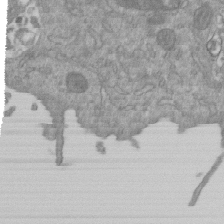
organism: Mouse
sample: ED-1 cell nuclei; centrioles